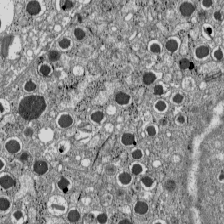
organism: C57BL Mouse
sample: Pancreatic islet